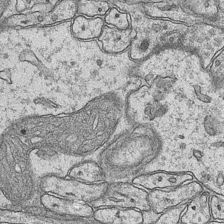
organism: Mouse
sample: CA1 Hippocampus